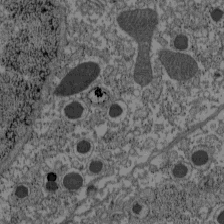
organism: C57BL Mouse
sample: Pancreatic islet